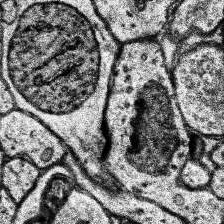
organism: Human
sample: Temporal Lobe